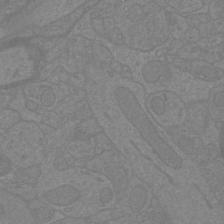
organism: Mouse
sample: Cortical neurons